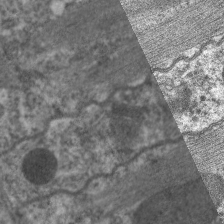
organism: C. elegans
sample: Pharynx